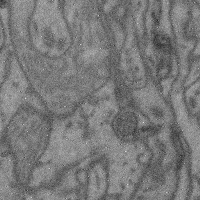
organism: Mouse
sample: Cerebral cortex